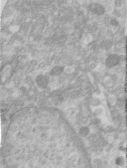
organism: Human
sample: Centriole in RPE cells